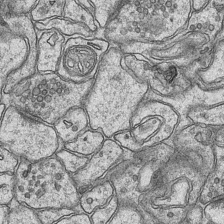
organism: Mouse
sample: CA1 Hippocampus